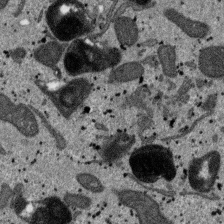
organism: Human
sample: Lung epithelial cells, uninfected (mock) control